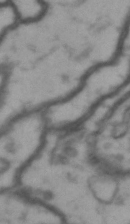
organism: Drosophila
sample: Brain